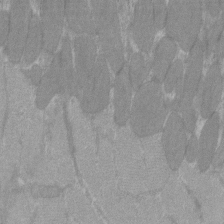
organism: C57BL Mouse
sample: Tibialis anterior muscle cell